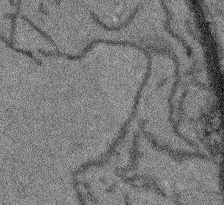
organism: Arabidopsis thaliana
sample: Root tip